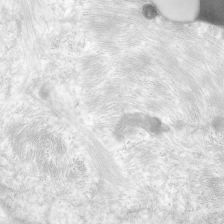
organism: Human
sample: Neocortex